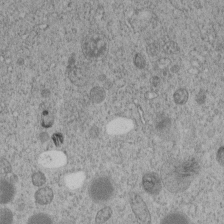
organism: C. elegans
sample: C. elegans embryo early stage